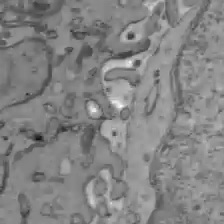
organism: C57BL Mouse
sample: Liver